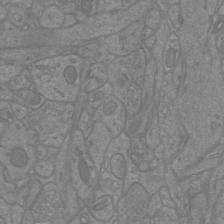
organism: Mouse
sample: Cortical neurons